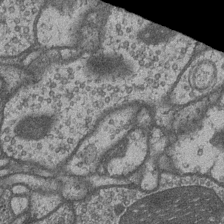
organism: Drosophila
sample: Optic medulla